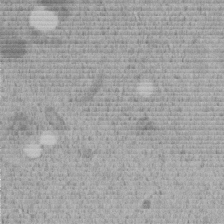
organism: C. elegans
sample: C. elegans embryo early stage